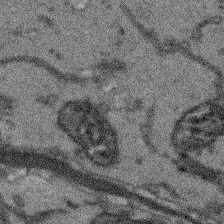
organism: Arabidopsis thaliana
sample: Root tip